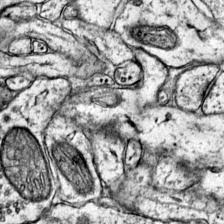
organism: Mouse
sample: Primary visual cortex